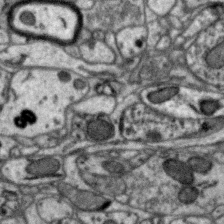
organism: Zebra finch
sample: Brain